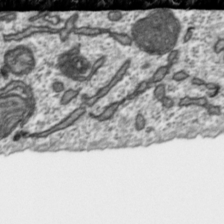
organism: Toxoplasma gondii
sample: Parasites in a vacuole inside a host cell